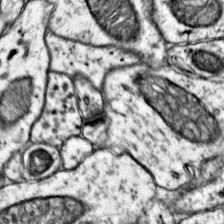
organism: Mouse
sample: Primary visual cortex